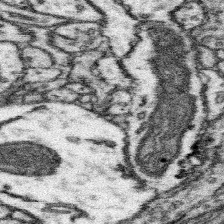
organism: Mouse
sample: Somatosensory cortex neuropil